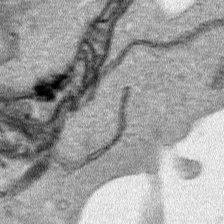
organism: Human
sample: Mitochondria in HCT116 cells